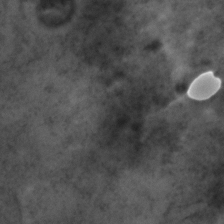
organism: C. elegans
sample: C. elegans embryo